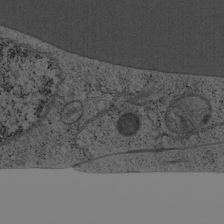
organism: African green monkey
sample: COS-7 cells